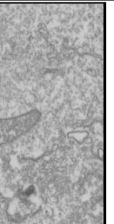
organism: Drosophila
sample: Cell division; meiosis; drosophila spermatocytes